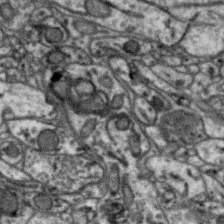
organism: Zebra finch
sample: Brain